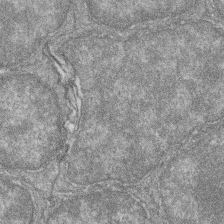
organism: Zebrafish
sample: Cilia; retinal pigment epithelium